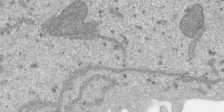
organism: Human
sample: Lung epithelial cells infected with SARS-CoV-2